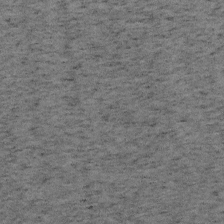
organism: Mouse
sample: OT-I killer T cells with ID8 ovarian cancer cells